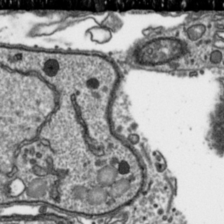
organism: Toxoplasma gondii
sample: Parasites in a vacuole inside a host cell